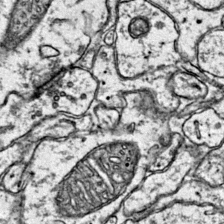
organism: Mouse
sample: Primary visual cortex